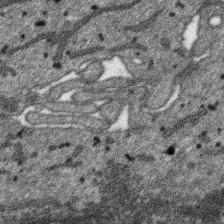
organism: Human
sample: Lung epithelial cells infected with SARS-CoV-2